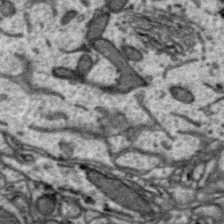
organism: Zebra finch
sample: Brain